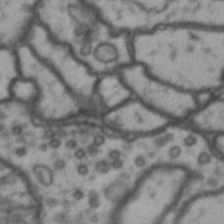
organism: Drosophila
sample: Brain